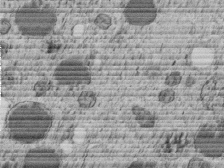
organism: C. elegans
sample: C. elegans embryo early stage